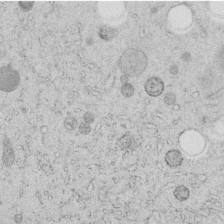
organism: C. elegans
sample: C. elegans embryo early stage